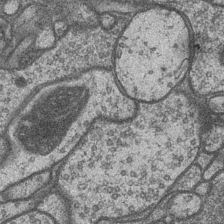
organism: Drosophila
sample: Optic medulla